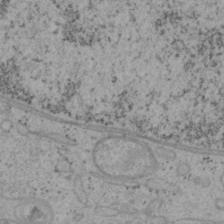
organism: Human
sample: HeLa cells